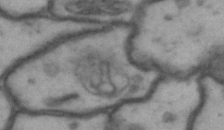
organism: Drosophila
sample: Brain